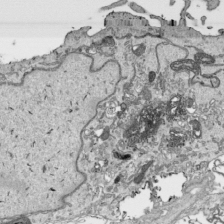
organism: Human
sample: Mitochondria in HCT116 cells